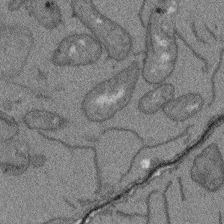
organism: Arabidopsis thaliana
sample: Root tip